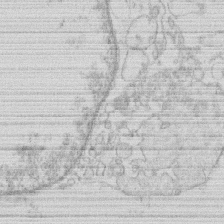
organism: Human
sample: Macrophage cells